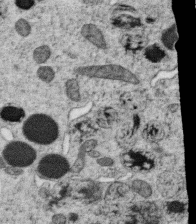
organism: C. elegans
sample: C. elegans oocyte; sperm cells